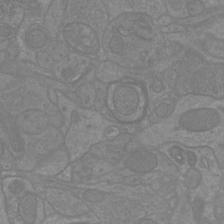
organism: Mouse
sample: Cortical neurons